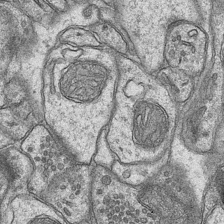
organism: Mouse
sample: CA1 Hippocampus